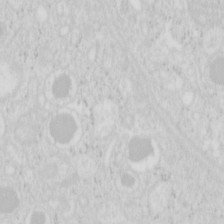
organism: Mouse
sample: Pancreas